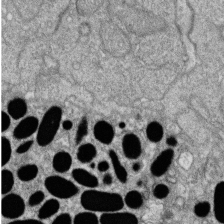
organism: Zebrafish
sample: Cilia; retinal pigment epithelium